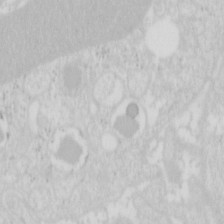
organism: Mouse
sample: Pancreas